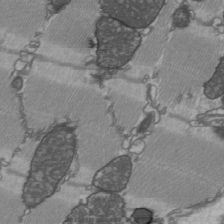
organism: C57BL Mouse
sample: Heart